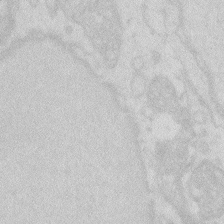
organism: Zebrafish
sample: Macrophage